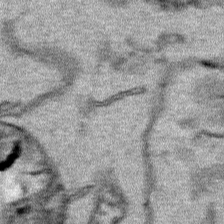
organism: Human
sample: Mitochondria in HCT116 cells